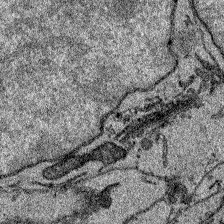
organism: Zebrafish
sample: Larval olfactory bulb